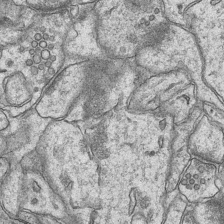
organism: Mouse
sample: CA1 Hippocampus